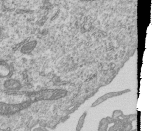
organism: Human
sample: MDA-MB-231 cells